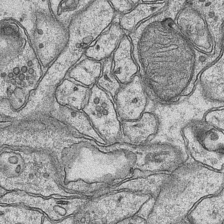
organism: Mouse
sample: CA1 Hippocampus